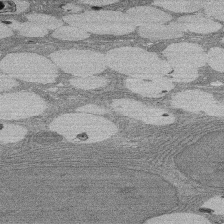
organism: Rat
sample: Salivary granule